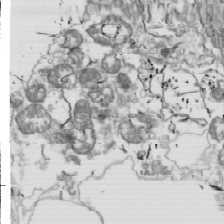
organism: Drosophila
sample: Cell division; meiosis; drosophila spermatocytes